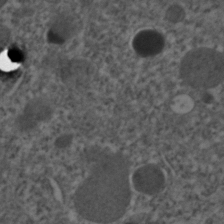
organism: C. elegans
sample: C. elegans embryo